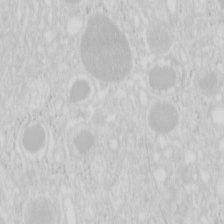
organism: Mouse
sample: Pancreas